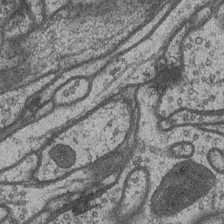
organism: Drosophila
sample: Optic medulla